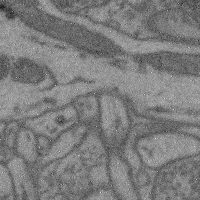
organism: Mouse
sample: Cerebral cortex